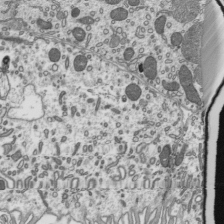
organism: Mouse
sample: Mouse epididymis efferent ductule cilia